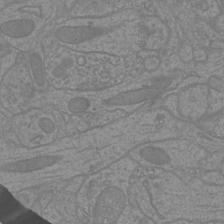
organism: Mouse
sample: Cortical neurons